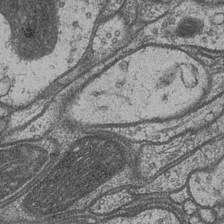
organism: Drosophila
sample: Optic medulla